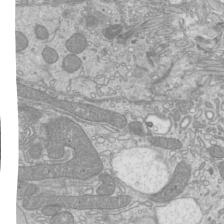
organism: Mouse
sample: Cilia; mouse epididymis